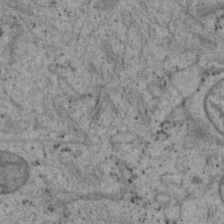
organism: Human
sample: HeLa cells